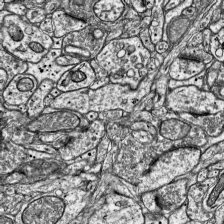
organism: Mouse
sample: Visual Cortex